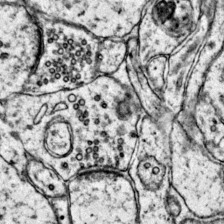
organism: Mouse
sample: Primary visual cortex